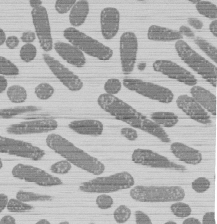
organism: E. coli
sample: Bacterial nucleoid